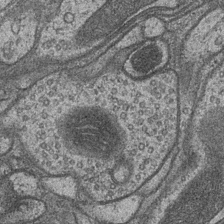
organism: Drosophila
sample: Optic medulla